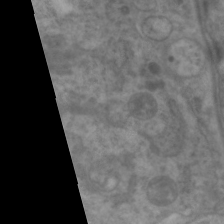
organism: C. elegans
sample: Pharynx